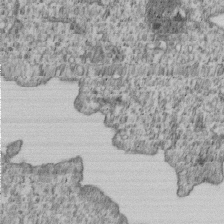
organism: Human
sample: MDA-MB-231 cells